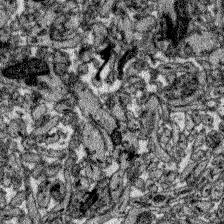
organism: Zebrafish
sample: Larval olfactory bulb